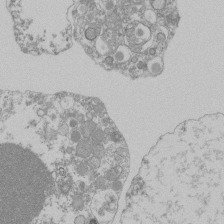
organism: Mouse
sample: Activated Pmel transgenic CD8+ T Cells